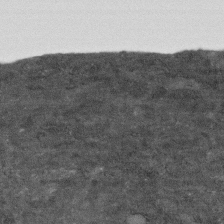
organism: Human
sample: Fibroblast cells